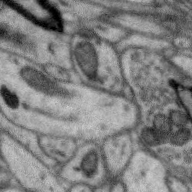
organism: Zebra finch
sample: Brain